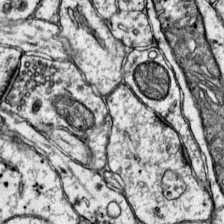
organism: Mouse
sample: Primary visual cortex